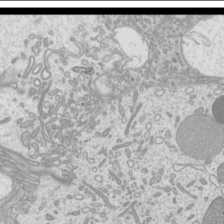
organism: Mouse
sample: Cilia; mouse epididymis